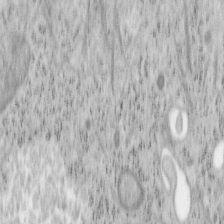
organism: Human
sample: HeLa cells